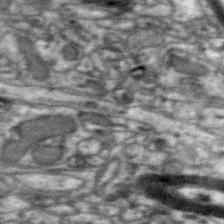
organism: Zebra finch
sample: Brain